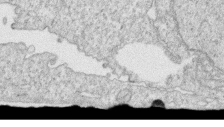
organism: Human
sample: HeLa cell HIV synapse